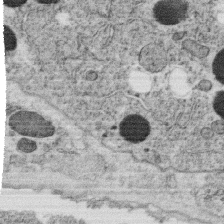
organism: C. elegans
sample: C. elegans oocyte; sperm cells